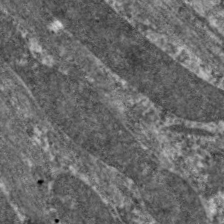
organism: C. elegans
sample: Pharynx